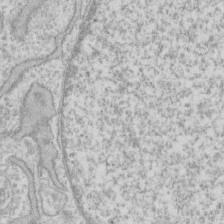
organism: Human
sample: Fibroblast cells